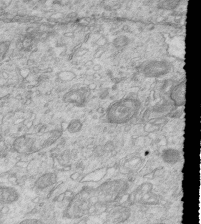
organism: Mouse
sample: Multiciliated cells